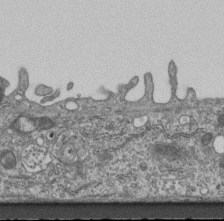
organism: Mouse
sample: Centriole in ependymal cells